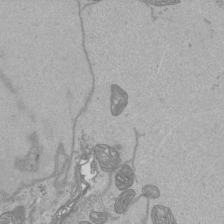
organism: Human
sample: Mitochondria in HCT116 cells